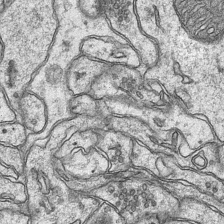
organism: Mouse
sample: CA1 Hippocampus